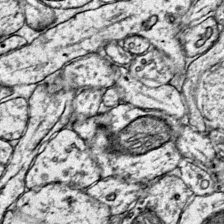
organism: Mouse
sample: Primary visual cortex